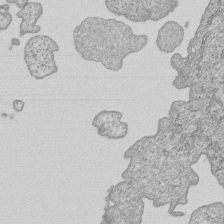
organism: Human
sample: MDA-MB-231 cells